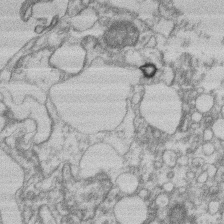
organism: Mouse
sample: T cell stromal cell synapse